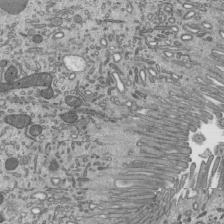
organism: Mouse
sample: Mouse epididymis efferent ductule cilia